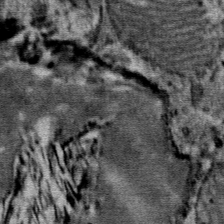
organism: Mouse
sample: Mouse Salivary gland